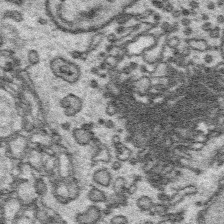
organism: Platynereis dumerilii